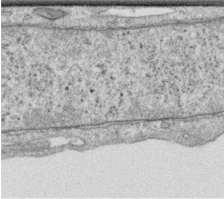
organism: Human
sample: Centriole in RPE cells